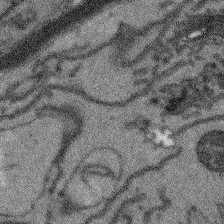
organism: Arabidopsis thaliana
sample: Root tip